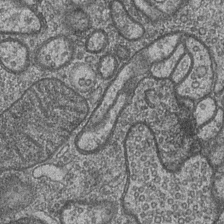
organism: Drosophila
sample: Optic medulla